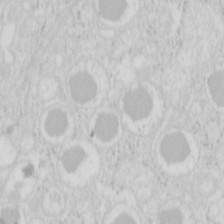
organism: Mouse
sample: Pancreas